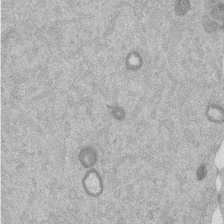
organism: Mouse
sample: Dividing mouse embryo 1 cell stage